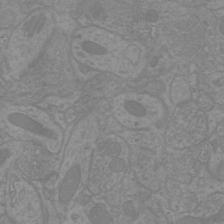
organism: Mouse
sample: Cortical neurons